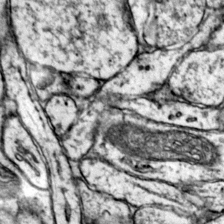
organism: Mouse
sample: Primary visual cortex